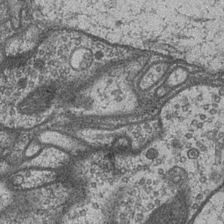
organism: Drosophila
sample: Optic medulla